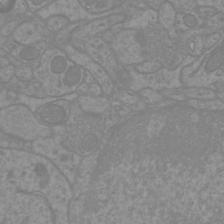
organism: Mouse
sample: Cortical neurons